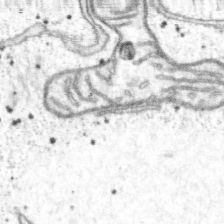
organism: Human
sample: HeLa cells